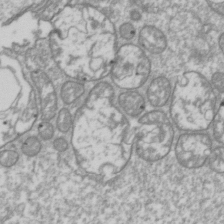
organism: Drosophila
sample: Cell division; meiosis; drosophila spermatocytes